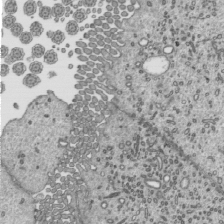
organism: Mouse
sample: Mouse epididymis efferent ductule cilia